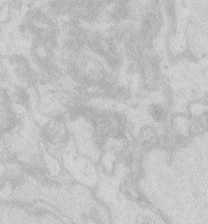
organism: Zebrafish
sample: Macrophage